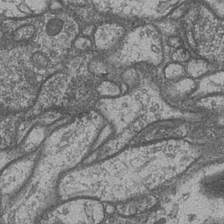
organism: Drosophila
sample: Optic medulla